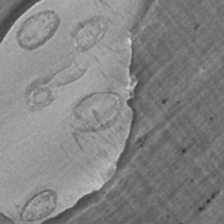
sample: Trachea